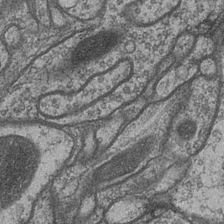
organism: Drosophila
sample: Optic medulla